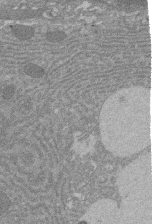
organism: Rat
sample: Salivary granule